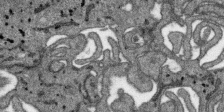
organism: Human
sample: Lung epithelial cells, uninfected (mock) control